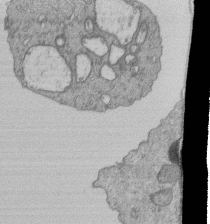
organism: Human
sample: Retinal organoid Rod and Cone cells